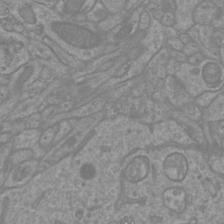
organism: Mouse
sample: Cortical neurons